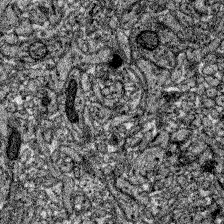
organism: Zebrafish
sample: Larval olfactory bulb